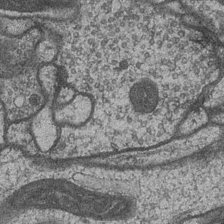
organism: Drosophila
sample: Optic medulla